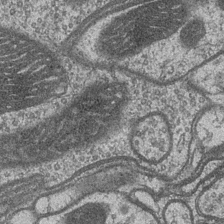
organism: Drosophila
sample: Optic medulla